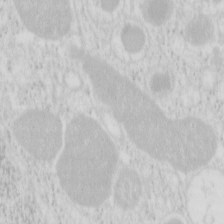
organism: Mouse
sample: Pancreas